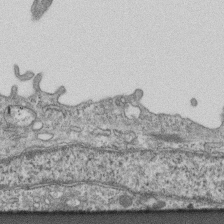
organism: Mouse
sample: Centriole in ependymal cells